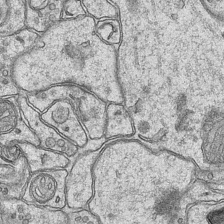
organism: Mouse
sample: CA1 Hippocampus